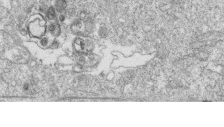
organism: Human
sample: HeLa cell HIV synapse